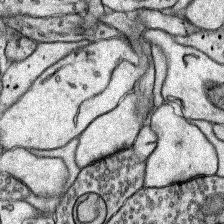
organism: Rat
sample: Hippocampus